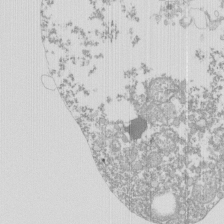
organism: Mouse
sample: Activated Pmel transgenic CD8+ T Cells